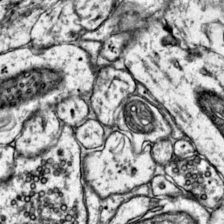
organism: Mouse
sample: Primary visual cortex